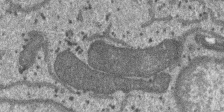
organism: Human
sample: Lung epithelial cells infected with SARS-CoV-2